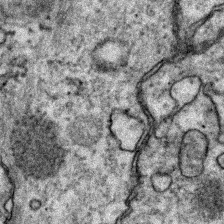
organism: Zebrafish